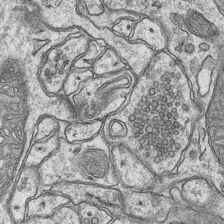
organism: Mouse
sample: CA1 Hippocampus